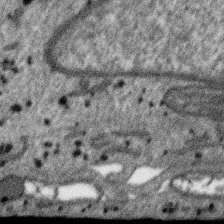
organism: Human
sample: Lung epithelial cells infected with SARS-CoV-2